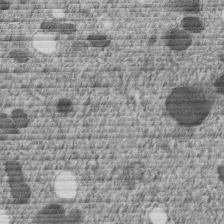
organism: C. elegans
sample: C. elegans embryo early stage